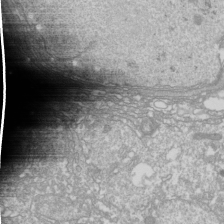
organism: Drosophila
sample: Cell division; meiosis; drosophila spermatocytes